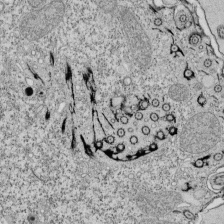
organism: Tetrahymena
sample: Cilia in tetrahymena